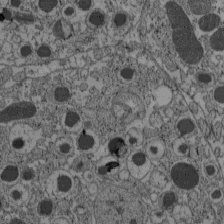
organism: C57BL Mouse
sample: Pancreatic islet